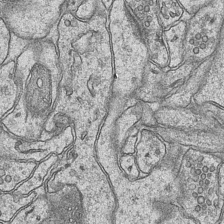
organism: Mouse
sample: CA1 Hippocampus